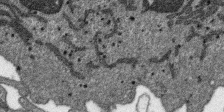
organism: Human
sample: Lung epithelial cells infected with SARS-CoV-2